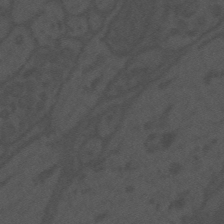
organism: Mouse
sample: Suprachiasmatic nucleus